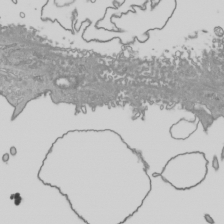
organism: Human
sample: Mitochondria in HCT116 cells